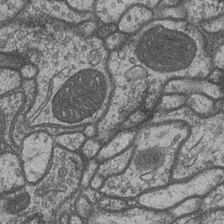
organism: Drosophila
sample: Optic medulla